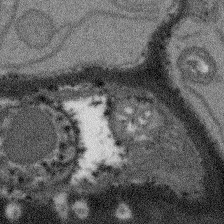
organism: Arabidopsis thaliana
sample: Root tip